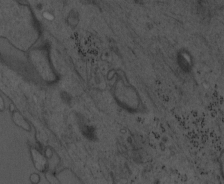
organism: Mouse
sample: OT-I killer T cells with ID8 ovarian cancer cells